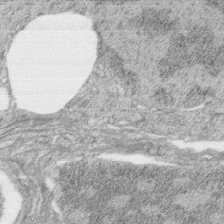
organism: Zebrafish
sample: synaptic ribbons in rod cells and cone cells